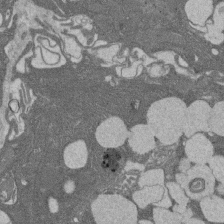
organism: Rat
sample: Salivary granule